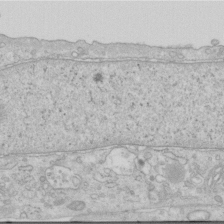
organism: Human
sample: Centriole in RPE cells